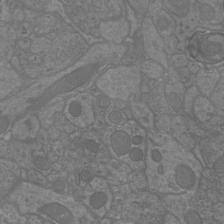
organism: Mouse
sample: Cortical neurons